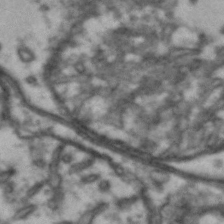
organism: Drosophila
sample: Brain